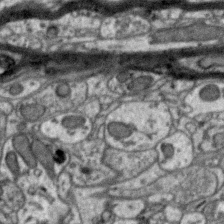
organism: Zebra finch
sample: Brain